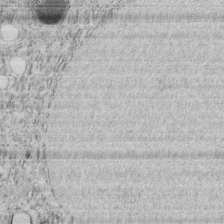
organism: C. elegans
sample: C. elegans embryo early stage